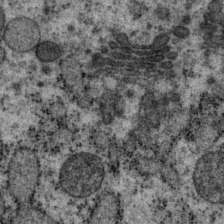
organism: P. pacificus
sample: Pharynx